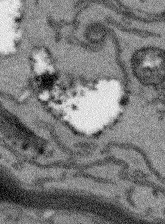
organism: Arabidopsis thaliana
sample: Root tip